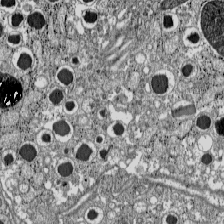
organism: C57BL Mouse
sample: Pancreatic islet